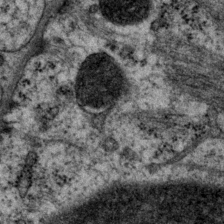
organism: P. pacificus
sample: Pharynx